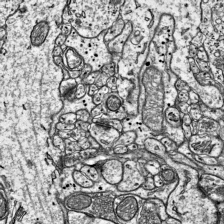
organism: Mouse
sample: Visual Cortex